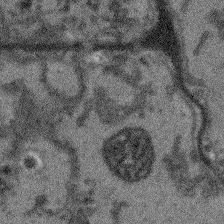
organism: Arabidopsis thaliana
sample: Root tip